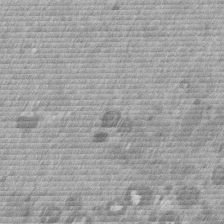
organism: Mouse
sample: Dividing mouse embryo 1 cell stage